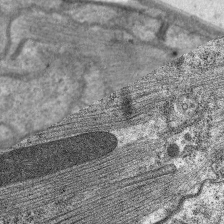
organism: C. elegans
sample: Pharynx